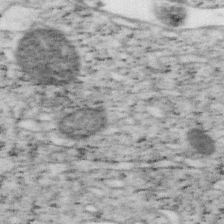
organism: Mouse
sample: OT-I killer T cells with ID8 ovarian cancer cells